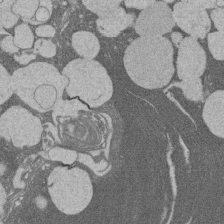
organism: Rat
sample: Salivary granule